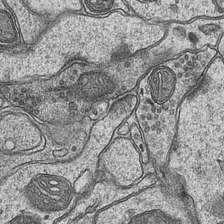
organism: Mouse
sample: CA1 Hippocampus